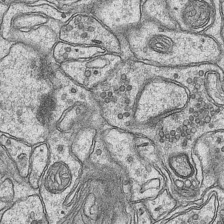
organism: Mouse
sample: CA1 Hippocampus